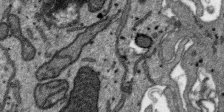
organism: Human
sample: Lung epithelial cells, uninfected (mock) control